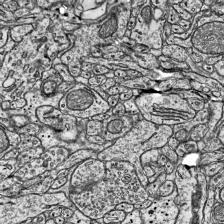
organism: Mouse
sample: Visual Cortex